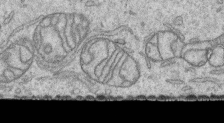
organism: Human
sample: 1205lu cells